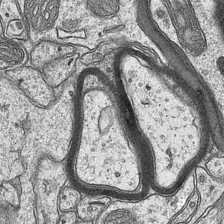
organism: Mouse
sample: CA1 Hippocampus